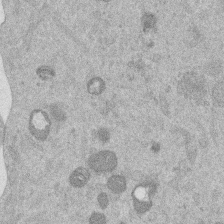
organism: Mouse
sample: Dividing mouse embryo 1 cell stage